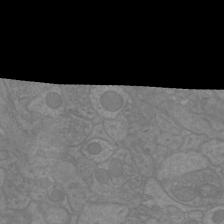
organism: Mouse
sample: Cortical neurons